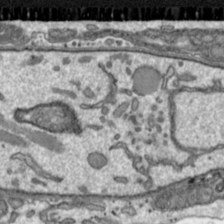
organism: Toxoplasma gondii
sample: Parasites in a vacuole inside a host cell